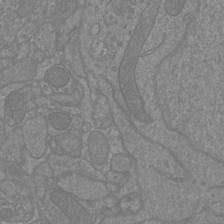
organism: Mouse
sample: Cortical neurons